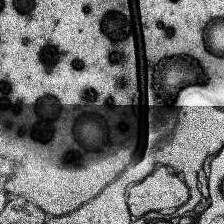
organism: Human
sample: Temporal Lobe